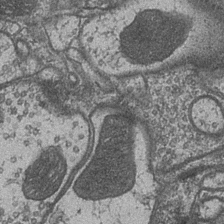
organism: Drosophila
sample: Optic medulla